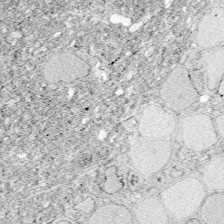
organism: Zebrafish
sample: Whole-Brain